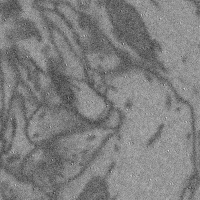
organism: Mouse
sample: Cerebral cortex